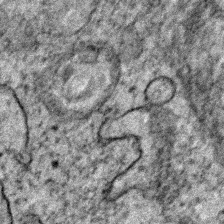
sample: Trachea